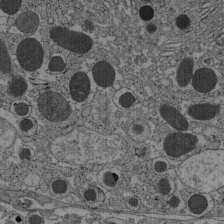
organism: C57BL Mouse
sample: Pancreatic islet